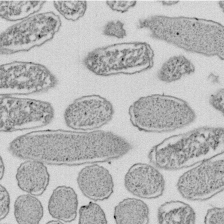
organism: E. coli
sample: Bacterial nucleoid